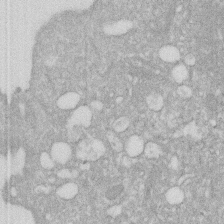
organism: Human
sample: HIV infected U937 cells